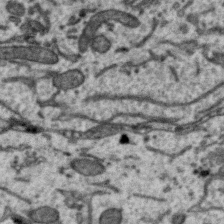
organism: Zebra finch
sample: Brain